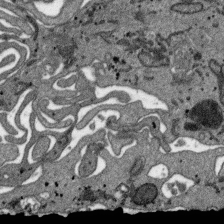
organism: Human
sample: Lung epithelial cells, uninfected (mock) control